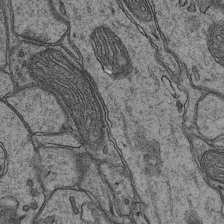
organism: Mouse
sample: CA1 Hippocampus